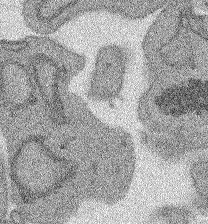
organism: Human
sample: HeLa cells